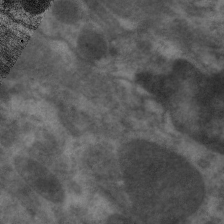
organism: C. elegans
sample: Pharynx